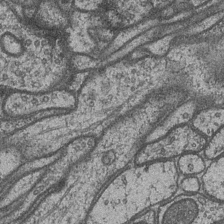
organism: Drosophila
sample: Optic medulla